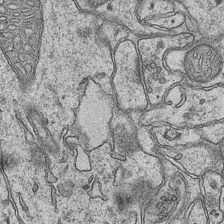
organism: Mouse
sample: CA1 Hippocampus